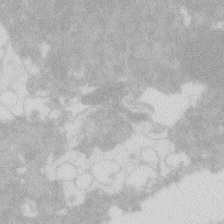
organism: Zebrafish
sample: Macrophage